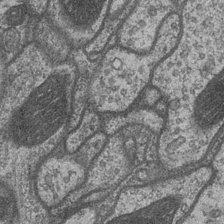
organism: Drosophila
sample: Optic medulla